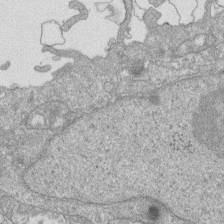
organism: Human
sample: HeLa cell HIV synapse